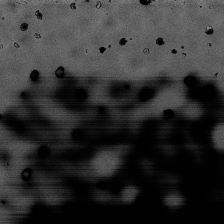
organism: Mouse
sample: ED-1 cell nuclei; centrioles